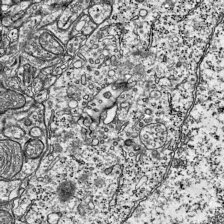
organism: Mouse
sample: Visual Cortex